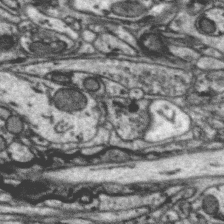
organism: Zebra finch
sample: Brain